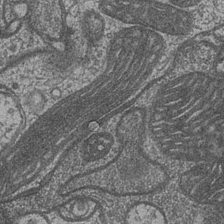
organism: Drosophila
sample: Optic medulla